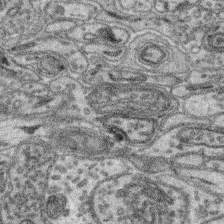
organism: Mouse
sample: Retina